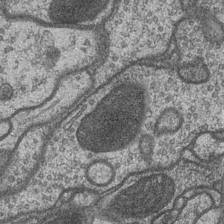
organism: Drosophila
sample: Optic medulla